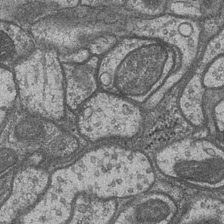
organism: Drosophila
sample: Optic medulla